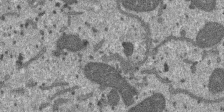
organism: Human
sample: Lung epithelial cells infected with SARS-CoV-2